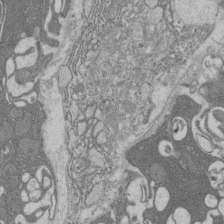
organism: Rat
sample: Salivary granule